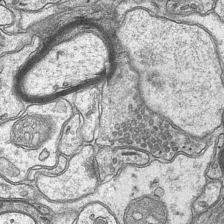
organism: Mouse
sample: CA1 Hippocampus